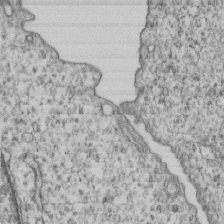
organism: Human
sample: MDA-MB-231 cells